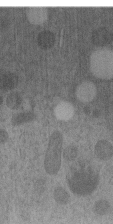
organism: C. elegans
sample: C. elegans embryo early stage